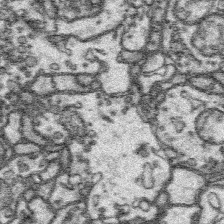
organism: Platynereis dumerilii